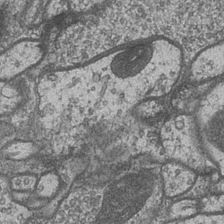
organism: Drosophila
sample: Optic medulla